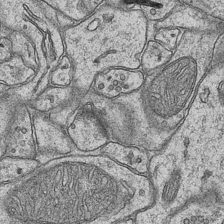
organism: Mouse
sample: CA1 Hippocampus